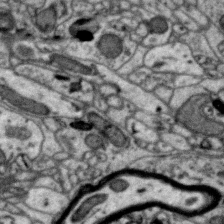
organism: Zebra finch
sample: Brain